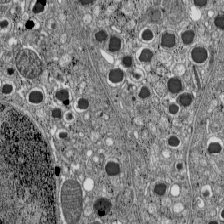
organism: C57BL Mouse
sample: Pancreatic islet